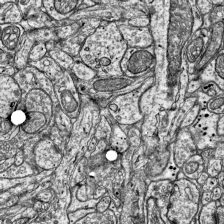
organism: Mouse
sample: Visual Cortex